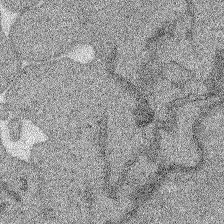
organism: Human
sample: HeLa cells